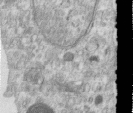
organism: Human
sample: Centriole in RPE cells